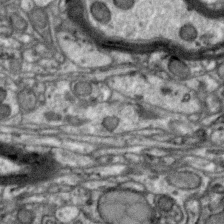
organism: Zebra finch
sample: Brain